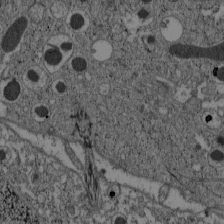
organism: C57BL Mouse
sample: Pancreatic islet